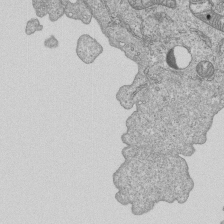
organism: Human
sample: MDA-MB-231 cells